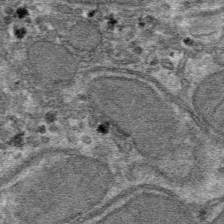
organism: Mouse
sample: Mouse hepatocytes